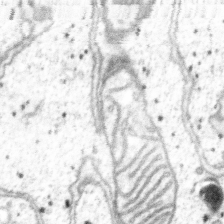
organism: Human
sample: HeLa cells